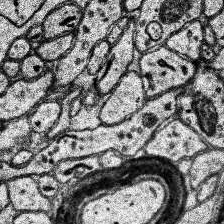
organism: Human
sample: Temporal Lobe